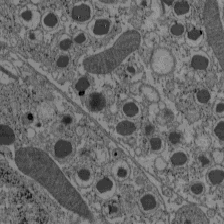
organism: C57BL Mouse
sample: Pancreatic islet